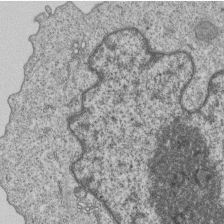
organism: Human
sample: MDA-MB-231 cells